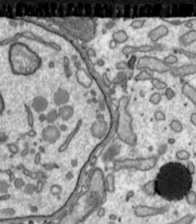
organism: Toxoplasma gondii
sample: Parasites in a vacuole inside a host cell